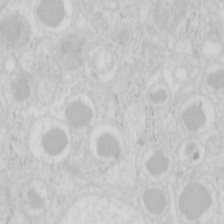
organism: Mouse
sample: Pancreas